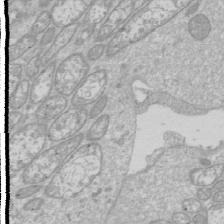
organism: Drosophila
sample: Cell division; meiosis; drosophila spermatocytes